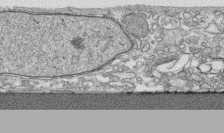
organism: Human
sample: CRL-1474